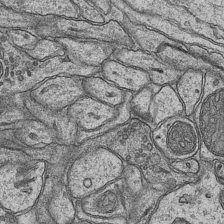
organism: Mouse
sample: CA1 Hippocampus